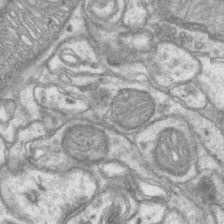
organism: Mouse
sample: CA1 Hippocampus